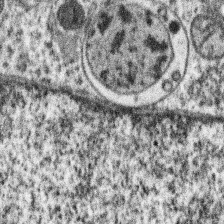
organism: Human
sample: HeLa cells